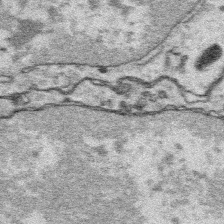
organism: Platynereis dumerilii